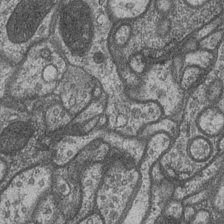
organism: Drosophila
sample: Optic medulla